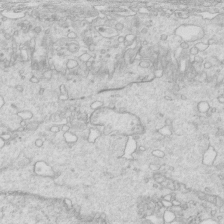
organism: Mouse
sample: Multiciliated cells